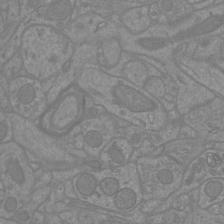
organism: Mouse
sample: Cortical neurons